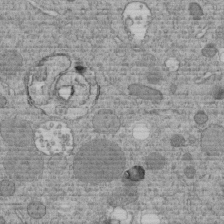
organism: C. elegans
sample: C. elegans embryo early stage